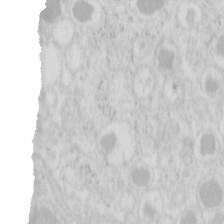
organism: Mouse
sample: Pancreas